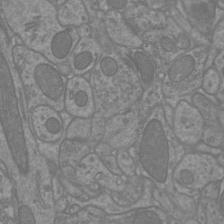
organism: Mouse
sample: Cortical neurons